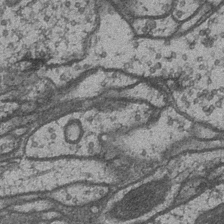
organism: Drosophila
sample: Optic medulla